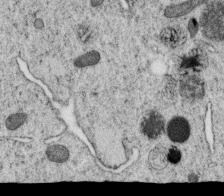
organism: C. elegans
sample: C. elegans oocyte; sperm cells